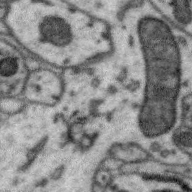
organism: Zebra finch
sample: Brain